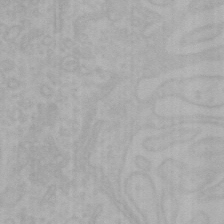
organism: Mouse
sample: Choroid plexus